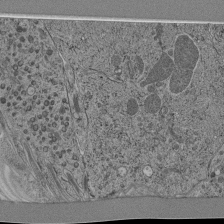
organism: C. elegans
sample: C. elegans pharynx